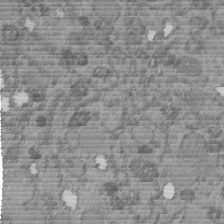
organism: C. elegans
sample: C. elegans embryo early stage